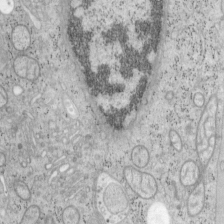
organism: Mouse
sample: OT-I killer T cells with ID8 ovarian cancer cells